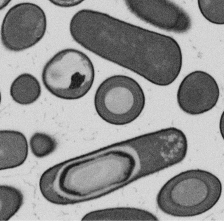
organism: B. subtilis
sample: Bacterial spore